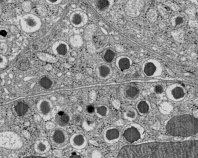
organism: C57BL Mouse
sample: Pancreatic islet